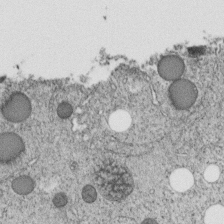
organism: C. elegans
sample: C. elegans embryo early stage